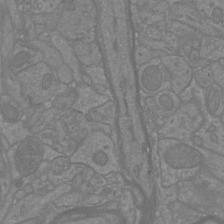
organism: Mouse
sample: Cortical neurons